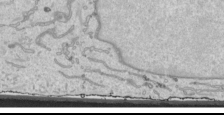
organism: Human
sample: Mitochondria in HCT116 cells